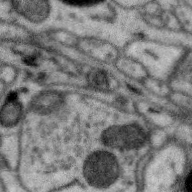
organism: Zebra finch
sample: Brain